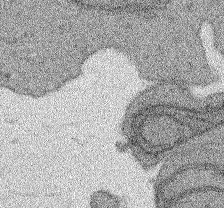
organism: Human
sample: HeLa cells